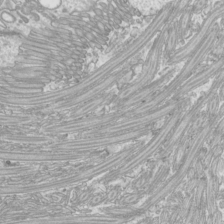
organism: Mouse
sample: Cilia; mouse epididymis